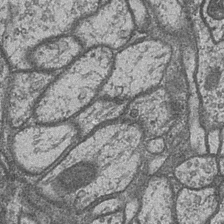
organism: Drosophila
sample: Optic medulla